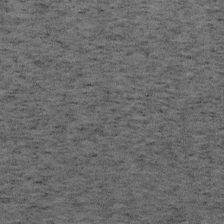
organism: Mouse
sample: OT-I killer T cells with ID8 ovarian cancer cells